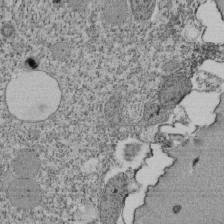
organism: Tetrahymena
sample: Cilia in tetrahymena